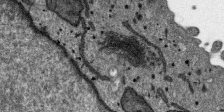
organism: Human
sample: Lung epithelial cells, uninfected (mock) control